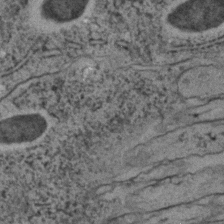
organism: C. elegans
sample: C. elegans embryo